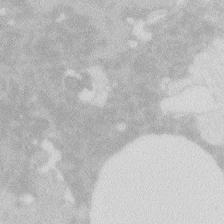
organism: Zebrafish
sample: Macrophage